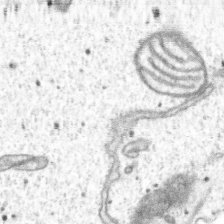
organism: Human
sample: HeLa cells